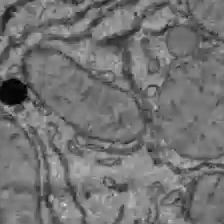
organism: C57BL Mouse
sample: Liver